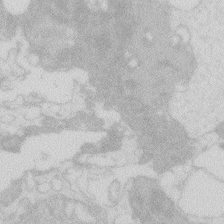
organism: Zebrafish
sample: Macrophage